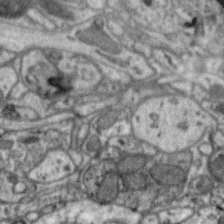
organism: Zebra finch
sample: Brain